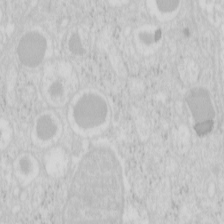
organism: Mouse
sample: Pancreas